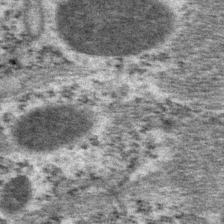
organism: P. pacificus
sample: Pharynx